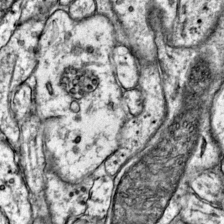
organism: Mouse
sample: Primary visual cortex